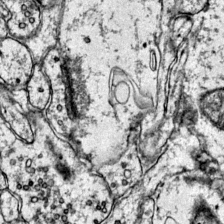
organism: Mouse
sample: Primary visual cortex